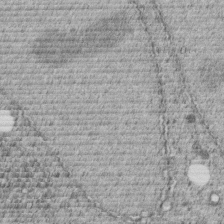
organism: C. elegans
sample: C. elegans embryo early stage